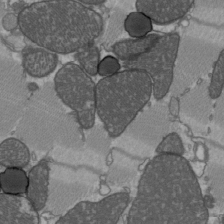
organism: C57BL Mouse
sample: Heart